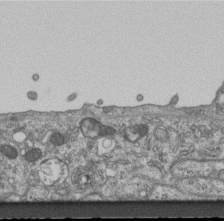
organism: Mouse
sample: Centriole in ependymal cells